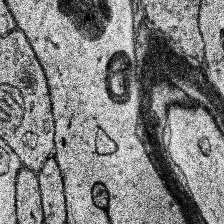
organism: Human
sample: Temporal Lobe